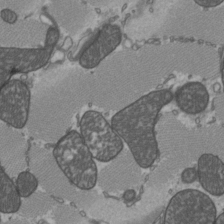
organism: C57BL Mouse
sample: Heart